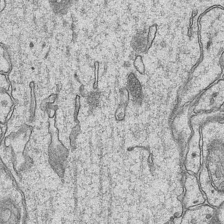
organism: Mouse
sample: CA1 Hippocampus